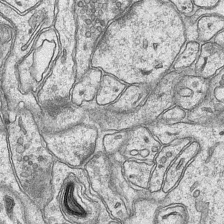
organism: Mouse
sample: CA1 Hippocampus